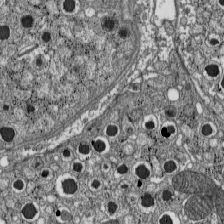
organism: C57BL Mouse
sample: Pancreatic islet